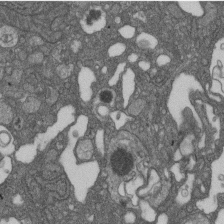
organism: Drosophila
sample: Nephrocyte